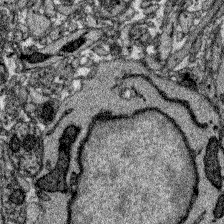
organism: Zebrafish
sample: Larval olfactory bulb